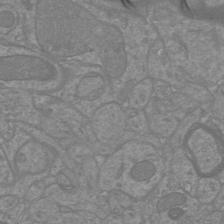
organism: Mouse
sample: Cortical neurons